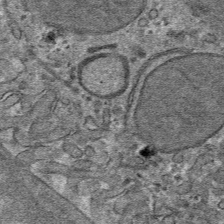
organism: Mouse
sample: Mouse hepatocytes